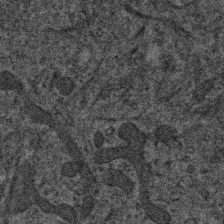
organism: Human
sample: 1205lu cells